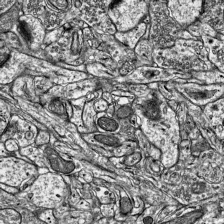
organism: Mouse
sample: Visual Cortex